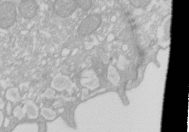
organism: Xenopus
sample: Cilia; centrioles in frog embryo cells